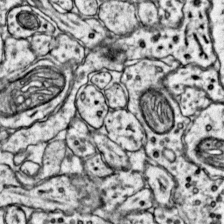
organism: Mouse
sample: Primary visual cortex